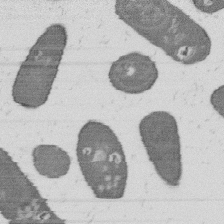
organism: B. subtilis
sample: Bacterial spore